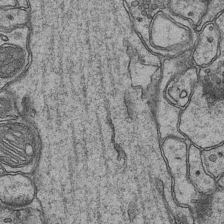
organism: Mouse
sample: CA1 Hippocampus